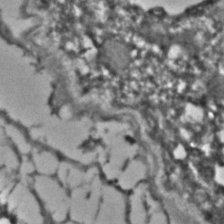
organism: C. elegans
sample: C. elegans embryo